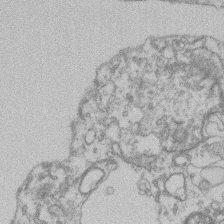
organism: Mouse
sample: T cell stromal cell synapse